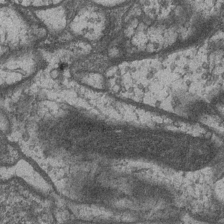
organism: Drosophila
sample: Optic medulla